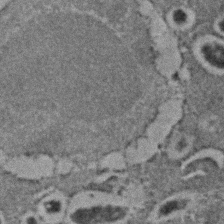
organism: C. elegans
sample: C. elegans embryo